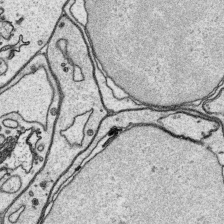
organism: Platynereis dumerilii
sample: Parapodia